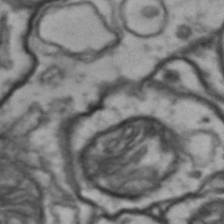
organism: Drosophila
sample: Brain